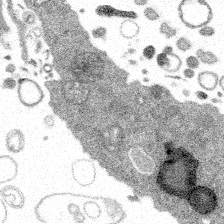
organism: Spongilla lacustris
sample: Multiple